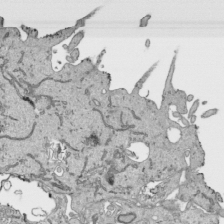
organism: Human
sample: Mitochondria in HCT116 cells